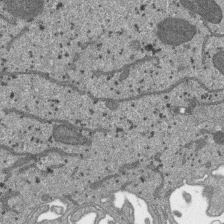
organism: Human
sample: Lung epithelial cells infected with SARS-CoV-2